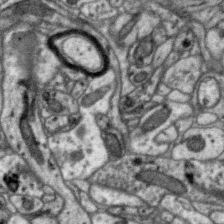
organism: Zebra finch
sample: Brain